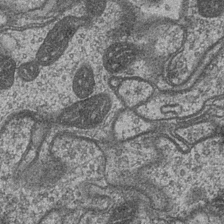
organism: Drosophila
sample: Optic medulla